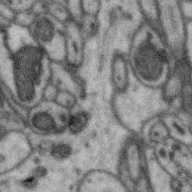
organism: Zebra finch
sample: Brain